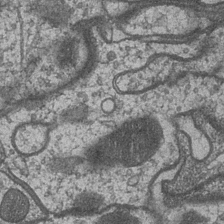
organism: Drosophila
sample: Optic medulla